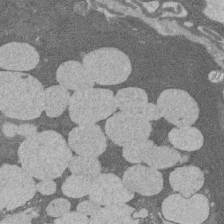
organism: Rat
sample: Salivary granule